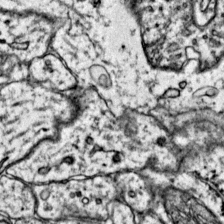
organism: Mouse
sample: Primary visual cortex